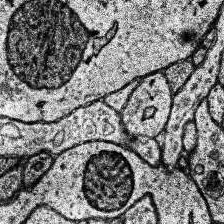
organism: Human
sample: Temporal Lobe